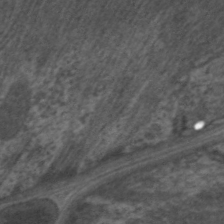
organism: C. elegans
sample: Pharynx